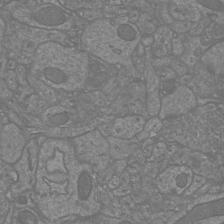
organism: Mouse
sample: Cortical neurons